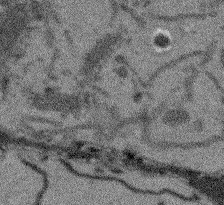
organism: Arabidopsis thaliana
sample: Root tip